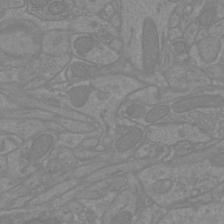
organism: Mouse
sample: Cortical neurons